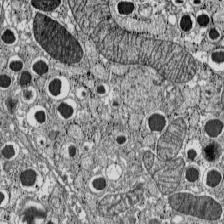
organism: C57BL Mouse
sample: Pancreatic islet